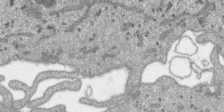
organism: Human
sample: Lung epithelial cells infected with SARS-CoV-2